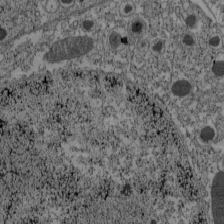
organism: C57BL Mouse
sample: Pancreatic islet